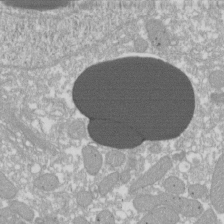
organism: Xenopus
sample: Cilia; centrioles in frog embryo cells